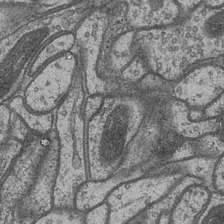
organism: Drosophila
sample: Optic medulla